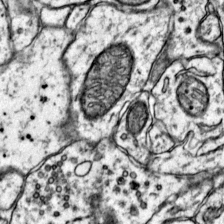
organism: Mouse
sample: Primary visual cortex